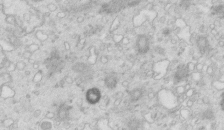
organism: Mouse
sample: Multiciliated cells